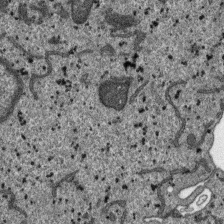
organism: Human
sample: Lung epithelial cells infected with SARS-CoV-2